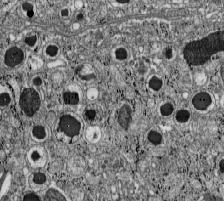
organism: C57BL Mouse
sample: Pancreatic islet